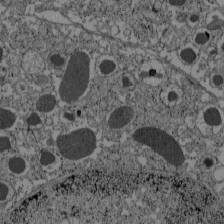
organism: C57BL Mouse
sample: Pancreatic islet